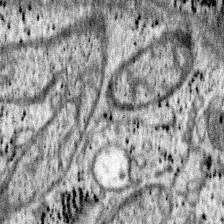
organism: Human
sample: HeLa cells